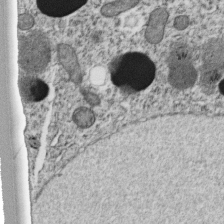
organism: C. elegans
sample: C. elegans embryo early stage